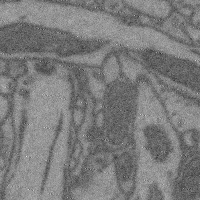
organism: Mouse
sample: Cerebral cortex